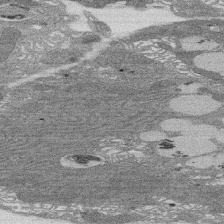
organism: Rat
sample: Salivary granule